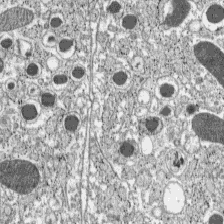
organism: C57BL Mouse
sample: Pancreatic islet